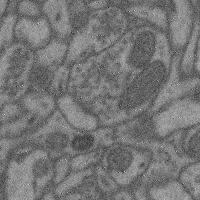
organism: Mouse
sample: Cerebral cortex